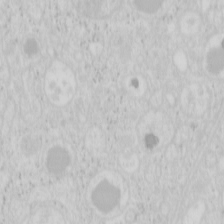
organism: Mouse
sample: Pancreas